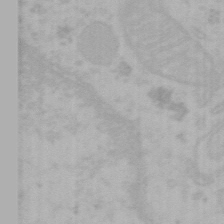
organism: Mouse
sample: Choroid plexus